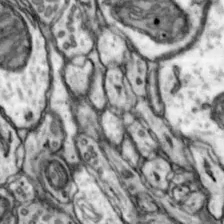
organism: Mouse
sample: Nucleus accumbens